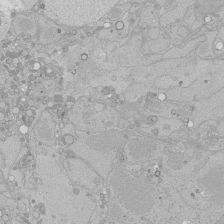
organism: Human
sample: Caco-2 cells